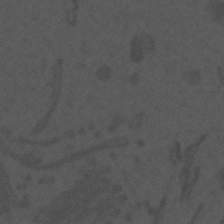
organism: Mouse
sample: Suprachiasmatic nucleus